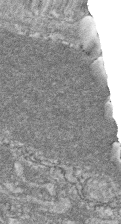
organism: Zebrafish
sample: Cilia; retinal pigment epithelium